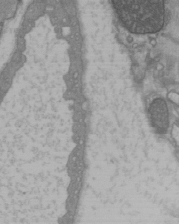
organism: C57BL Mouse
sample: Heart